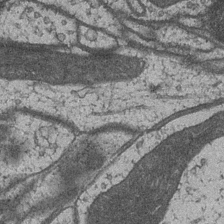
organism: Drosophila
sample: Optic medulla